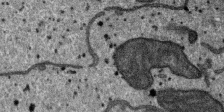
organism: Human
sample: Lung epithelial cells, uninfected (mock) control